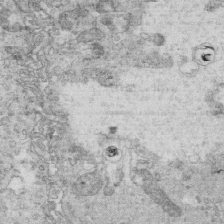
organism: Mouse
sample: Multiciliated cells